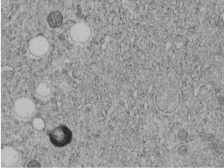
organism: C. elegans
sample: C. elegans embryo early stage